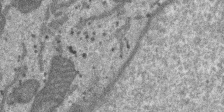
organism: Human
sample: Lung epithelial cells infected with SARS-CoV-2